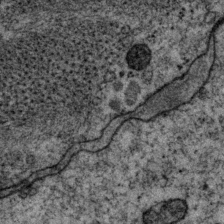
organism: P. pacificus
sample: Pharynx